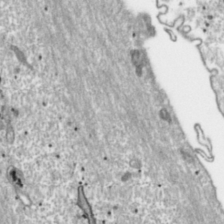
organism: Toxoplasma gondii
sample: Parasites in a vacuole inside a host cell